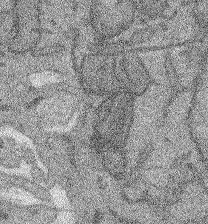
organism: Human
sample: HeLa cells